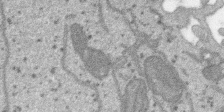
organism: Human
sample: Lung epithelial cells infected with SARS-CoV-2